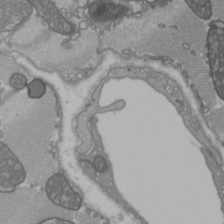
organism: C57BL Mouse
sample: Heart